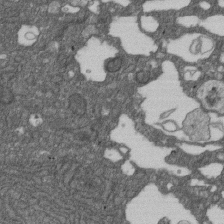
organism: Drosophila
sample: Nephrocyte